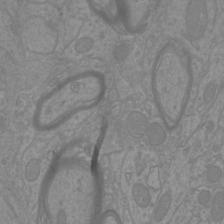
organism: Mouse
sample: Cortical neurons